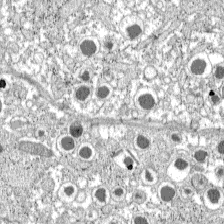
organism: C57BL Mouse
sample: Pancreatic islet